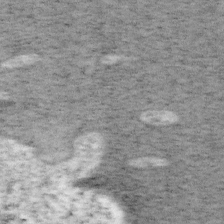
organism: Mouse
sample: OT-I killer T cells with ID8 ovarian cancer cells